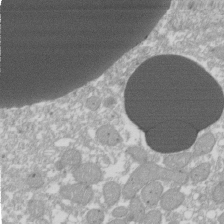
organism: Xenopus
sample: Cilia; centrioles in frog embryo cells